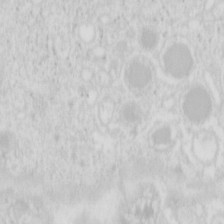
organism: Mouse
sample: Pancreas